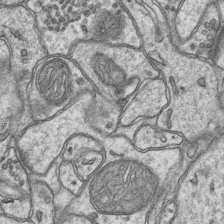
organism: Mouse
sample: CA1 Hippocampus